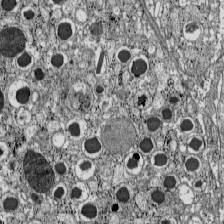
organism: C57BL Mouse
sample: Pancreatic islet